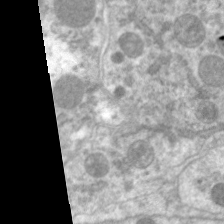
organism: C. elegans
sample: Pharynx